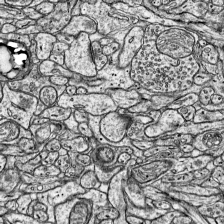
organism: Mouse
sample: Visual Cortex